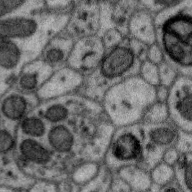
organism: Zebra finch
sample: Brain